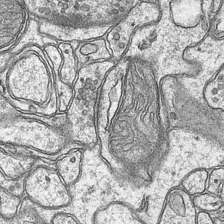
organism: Mouse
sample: CA1 Hippocampus